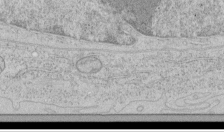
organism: Human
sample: Mitochondria in HCT116 cells